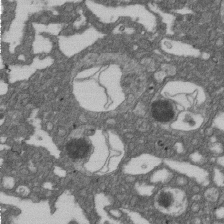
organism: Drosophila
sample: Nephrocyte